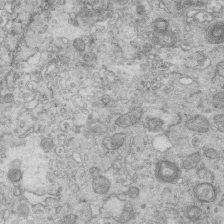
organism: Mouse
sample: Multiciliated cells